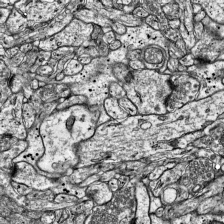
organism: Mouse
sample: Visual Cortex